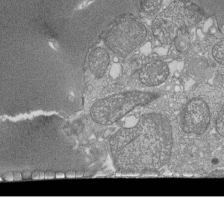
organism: Tetrahymena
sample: Cilia in tetrahymena